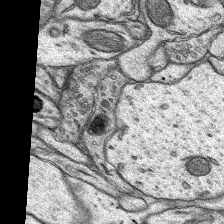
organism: Rat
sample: Hippocampus